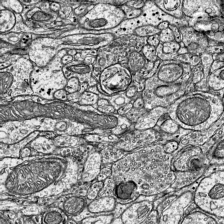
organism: Mouse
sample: Visual Cortex